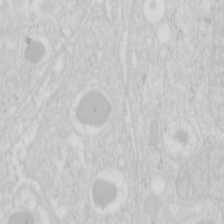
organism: Mouse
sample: Pancreas